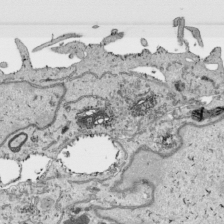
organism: Human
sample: Mitochondria in HCT116 cells